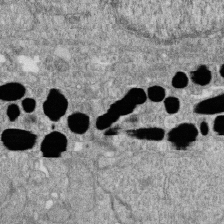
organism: Zebrafish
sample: Cilia; retinal pigment epithelium